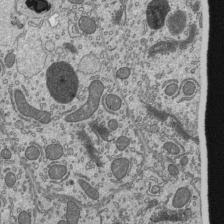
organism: Mouse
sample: Mouse epididymis efferent ductule cilia